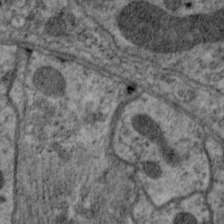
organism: C. elegans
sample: Pharynx